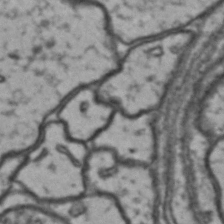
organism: Drosophila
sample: Brain